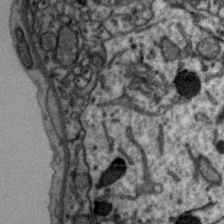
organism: Zebra finch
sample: Brain